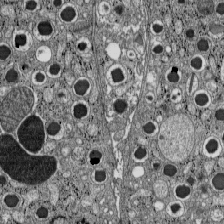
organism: C57BL Mouse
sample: Pancreatic islet